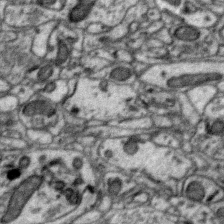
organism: Zebra finch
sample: Brain